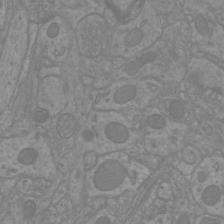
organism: Mouse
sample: Cortical neurons